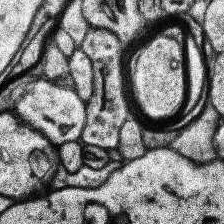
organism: Human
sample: Temporal Lobe